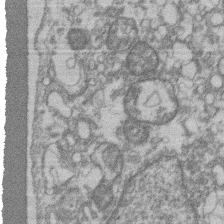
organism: Mouse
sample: T cell stromal cell synapse